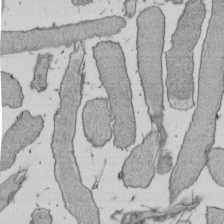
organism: E. coli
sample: Bacterial nucleoid